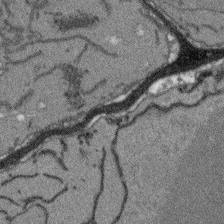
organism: Arabidopsis thaliana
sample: Root tip